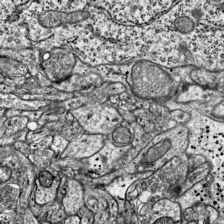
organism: Mouse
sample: Visual Cortex